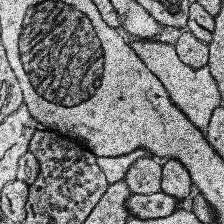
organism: Human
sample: Temporal Lobe